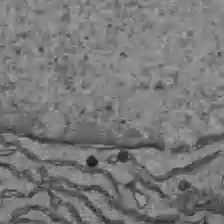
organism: C57BL Mouse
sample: Liver